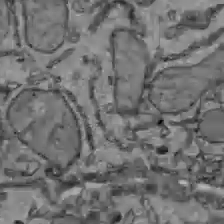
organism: C57BL Mouse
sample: Liver